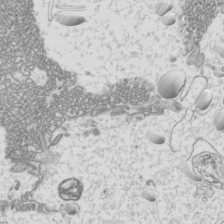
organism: Mouse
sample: Cilia; mouse epididymis